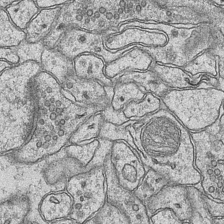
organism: Mouse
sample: CA1 Hippocampus